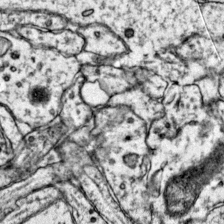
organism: Mouse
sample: Primary visual cortex